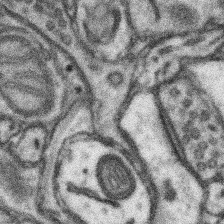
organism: Mouse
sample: Somatosensory cortex neuropil